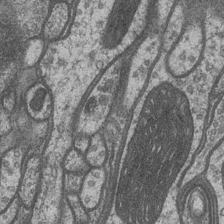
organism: Drosophila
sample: Optic medulla